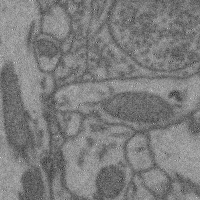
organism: Mouse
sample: Cerebral cortex